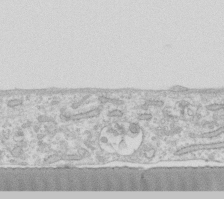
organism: Human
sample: Fibroblast cells